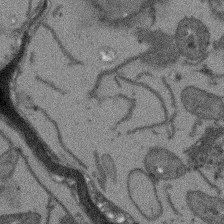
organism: Arabidopsis thaliana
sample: Root tip